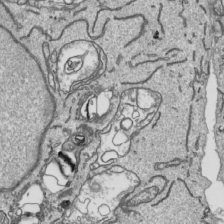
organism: Human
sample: Mitochondria in HCT116 cells